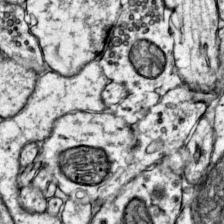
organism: Mouse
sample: Primary visual cortex